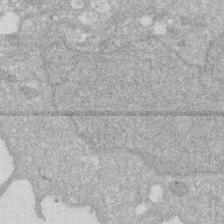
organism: Human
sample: HIV infected U937 cells